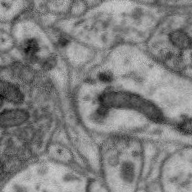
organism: Zebra finch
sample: Brain